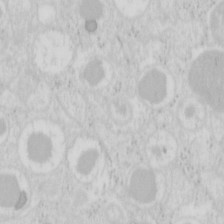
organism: Mouse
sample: Pancreas